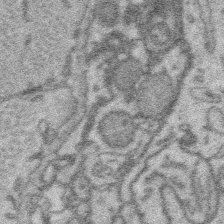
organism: Platynereis dumerilii